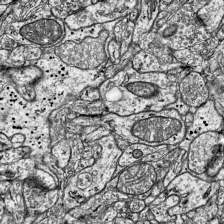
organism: Mouse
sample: Visual Cortex